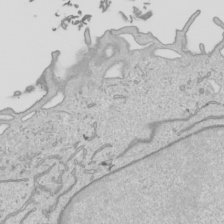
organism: Human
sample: Mitochondria in HCT116 cells